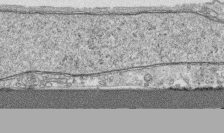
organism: Human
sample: CRL-1474